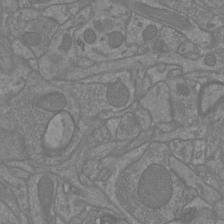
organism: Mouse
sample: Cortical neurons